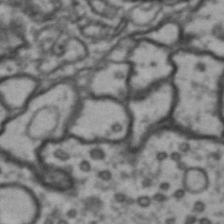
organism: Drosophila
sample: Brain